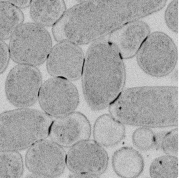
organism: E. coli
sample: Bacterial nucleoid